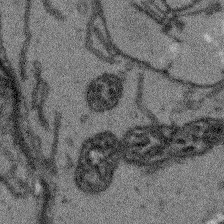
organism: Arabidopsis thaliana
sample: Root tip